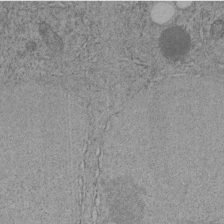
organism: C. elegans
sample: C. elegans embryo early stage